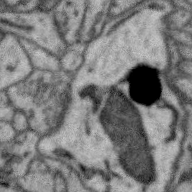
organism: Zebra finch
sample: Brain